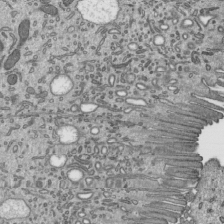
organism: Mouse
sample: Mouse epididymis efferent ductule cilia